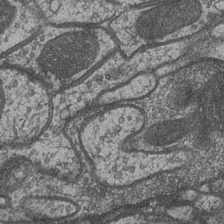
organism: Drosophila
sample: Optic medulla